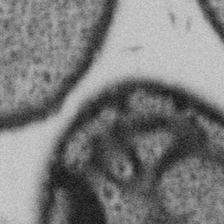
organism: Gemmata obscuriglobus